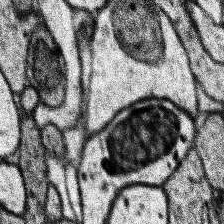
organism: Human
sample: Temporal Lobe